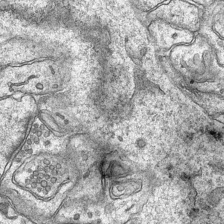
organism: Mouse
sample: CA1 Hippocampus